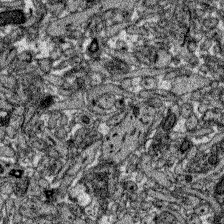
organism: Zebrafish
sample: Larval olfactory bulb